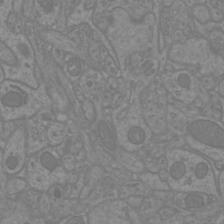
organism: Mouse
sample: Cortical neurons